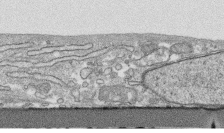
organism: Human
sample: CRL-1474